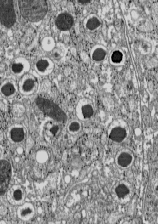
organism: C57BL Mouse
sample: Pancreatic islet